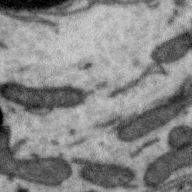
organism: Zebra finch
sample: Brain